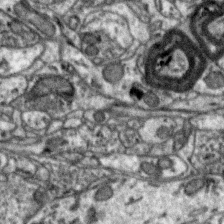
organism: Zebra finch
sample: Brain